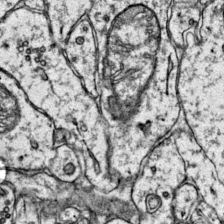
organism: Mouse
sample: Primary visual cortex